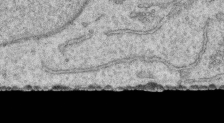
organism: Human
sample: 1205lu cells